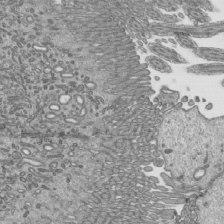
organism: Mouse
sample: Mouse epididymis efferent ductule cilia